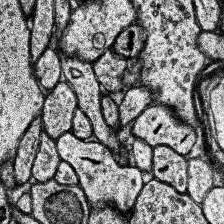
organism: Human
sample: Temporal Lobe